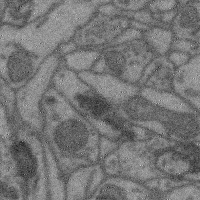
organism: Mouse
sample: Cerebral cortex